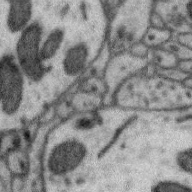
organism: Zebra finch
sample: Brain